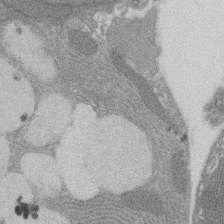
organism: Rat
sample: Salivary granule